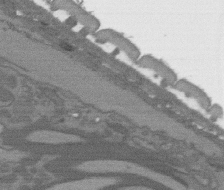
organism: C. elegans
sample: AFD neurons C. elegans